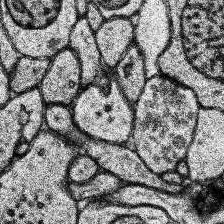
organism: Human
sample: Temporal Lobe